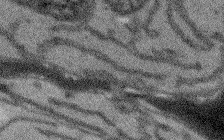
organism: Arabidopsis thaliana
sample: Root tip